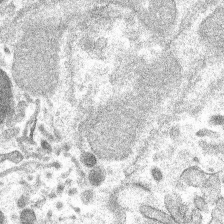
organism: Mouse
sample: Mouse hepatocytes